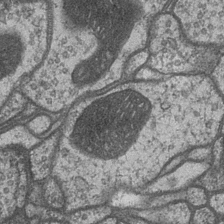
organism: Drosophila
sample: Optic medulla